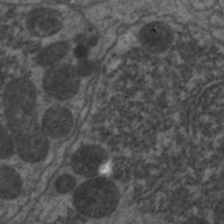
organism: C. elegans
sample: Pharynx